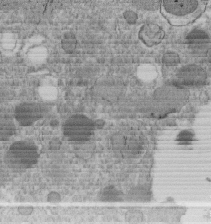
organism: C. elegans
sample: C. elegans embryo early stage